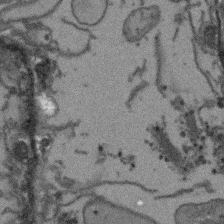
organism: Arabidopsis thaliana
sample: Root tip